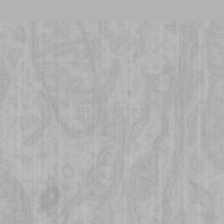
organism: Mouse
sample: Choroid plexus